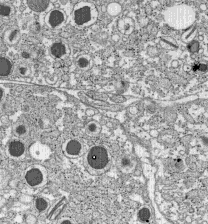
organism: C57BL Mouse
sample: Pancreatic islet